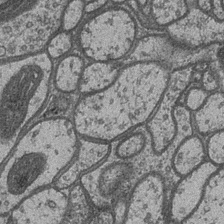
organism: Drosophila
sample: Optic medulla